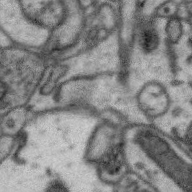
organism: Zebra finch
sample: Brain